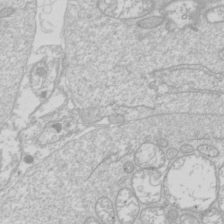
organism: Drosophila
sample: Cell division; meiosis; drosophila spermatocytes